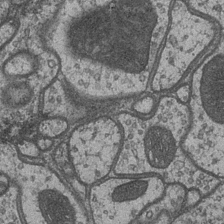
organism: Drosophila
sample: Optic medulla